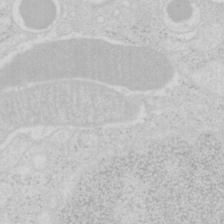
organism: Mouse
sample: Pancreas